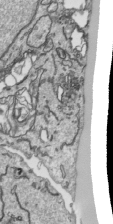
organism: Human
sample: Mitochondria in HCT116 cells